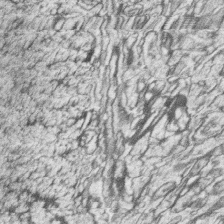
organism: Zebrafish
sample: synaptic ribbons in rod cells and cone cells